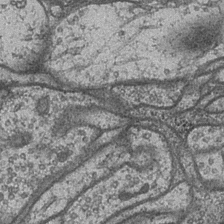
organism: Drosophila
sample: Optic medulla